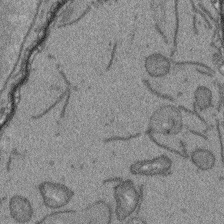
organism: Arabidopsis thaliana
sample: Root tip